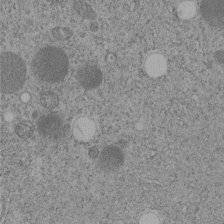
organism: C. elegans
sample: C. elegans embryo early stage